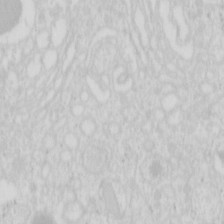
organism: Mouse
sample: Pancreas